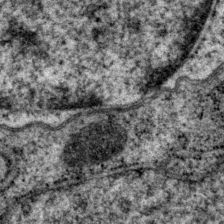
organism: P. pacificus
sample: Pharynx